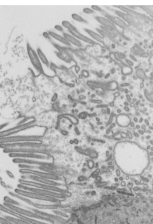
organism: Mouse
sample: Mouse epididymis efferent ductule cilia